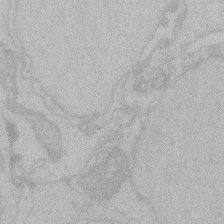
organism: Zebrafish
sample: Macrophage infected with Toxoplasma gondii